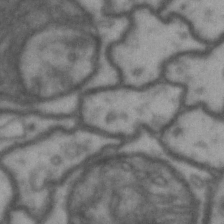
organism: Drosophila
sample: Brain